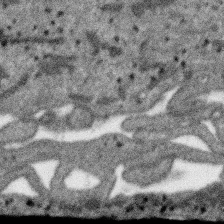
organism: Human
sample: Lung epithelial cells infected with SARS-CoV-2